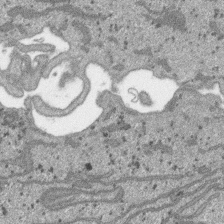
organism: Human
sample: Lung epithelial cells infected with SARS-CoV-2